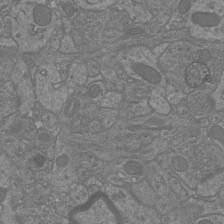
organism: Mouse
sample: Cortical neurons